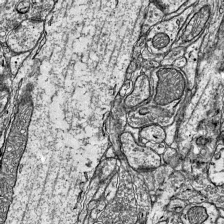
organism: Mouse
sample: Visual Cortex